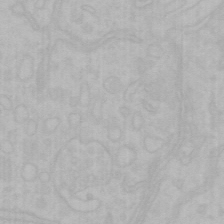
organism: Mouse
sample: Choroid plexus